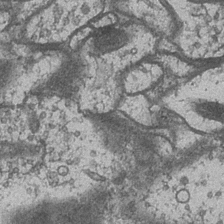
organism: Drosophila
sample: Optic medulla